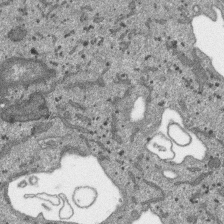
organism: Human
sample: Lung epithelial cells infected with SARS-CoV-2